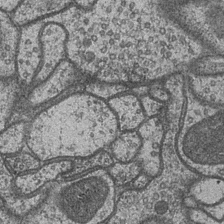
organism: Drosophila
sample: Optic medulla